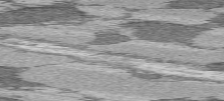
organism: C57BL Mouse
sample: Heart